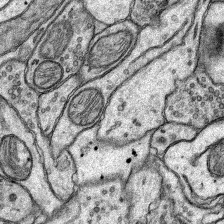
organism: Rat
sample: Hippocampus